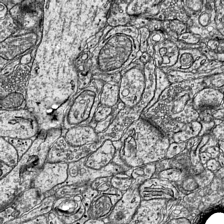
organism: Mouse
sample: Visual Cortex